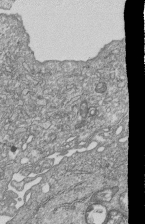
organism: Human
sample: MDA-MB-231 cells